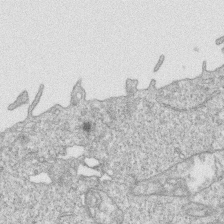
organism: Human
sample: HeLa cell HIV synapse